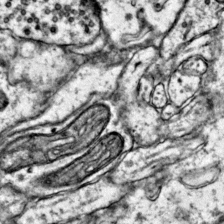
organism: Mouse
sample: Primary visual cortex